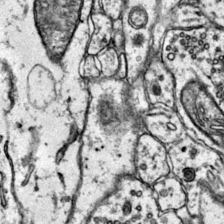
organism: Mouse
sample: Primary visual cortex